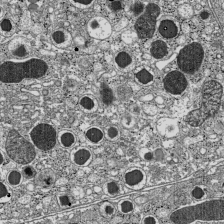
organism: C57BL Mouse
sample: Pancreatic islet